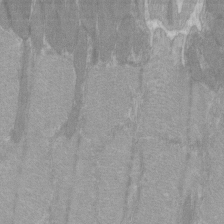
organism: C57BL Mouse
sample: Tibialis anterior muscle cell